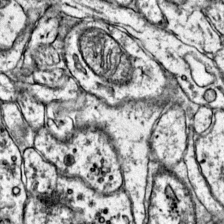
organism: Mouse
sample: Primary visual cortex